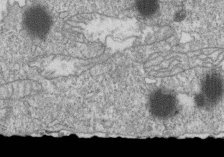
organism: Human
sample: HeLa cell HIV synapse